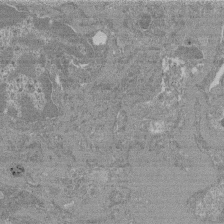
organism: Mouse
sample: Glomerulus